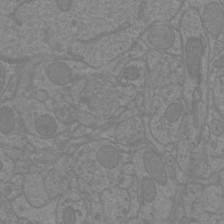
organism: Mouse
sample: Cortical neurons